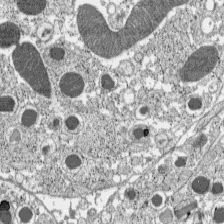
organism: C57BL Mouse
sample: Pancreatic islet